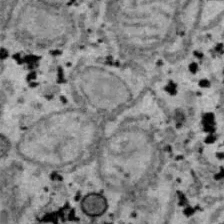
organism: Mouse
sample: Liver from an obese (ob/ob) mouse